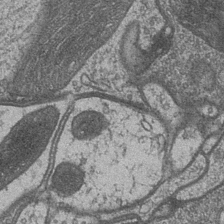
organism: Drosophila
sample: Optic medulla